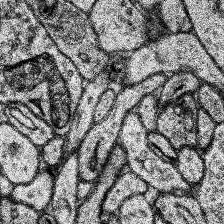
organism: Human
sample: Temporal Lobe